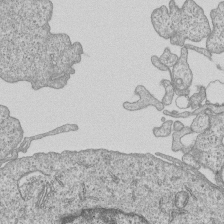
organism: Human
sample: MDA-MB-231 cells